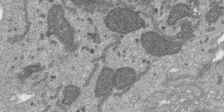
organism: Human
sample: Lung epithelial cells infected with SARS-CoV-2